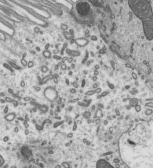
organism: Mouse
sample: Mouse epididymis efferent ductule cilia